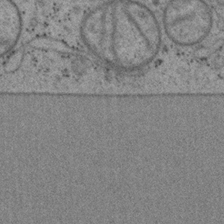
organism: Human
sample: HeLa cells